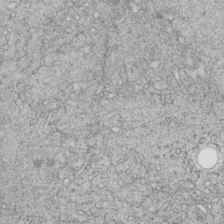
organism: C. elegans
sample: C. elegans embryo early stage